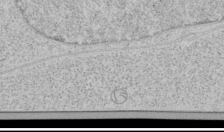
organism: Human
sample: Mitochondria in HCT116 cells